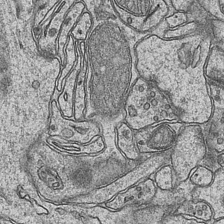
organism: Mouse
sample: CA1 Hippocampus